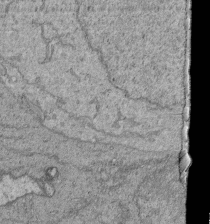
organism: Human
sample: Retinal organoid Rod and Cone cells